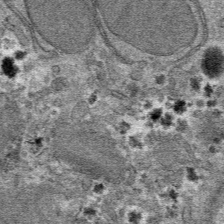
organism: Mouse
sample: Mouse hepatocytes